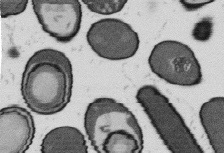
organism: B. subtilis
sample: Bacterial spore